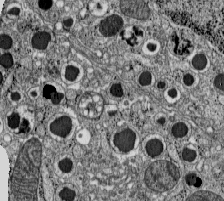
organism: C57BL Mouse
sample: Pancreatic islet